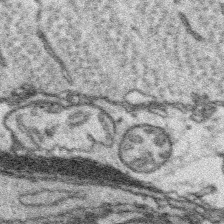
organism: Platynereis dumerilii